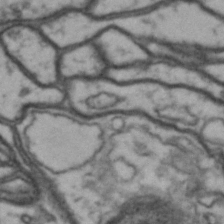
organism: Drosophila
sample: Brain